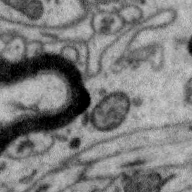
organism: Zebra finch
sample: Brain